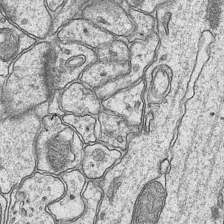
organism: Mouse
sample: CA1 Hippocampus